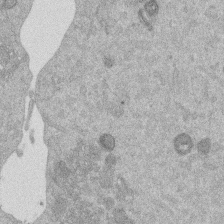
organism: Mouse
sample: Dividing mouse embryo 1 cell stage